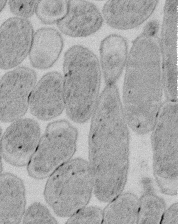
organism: E. coli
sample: Bacterial nucleoid